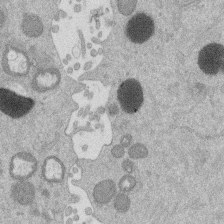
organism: Mouse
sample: Dividing mouse embryo 1 cell stage